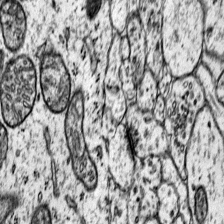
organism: Mouse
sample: Primary visual cortex